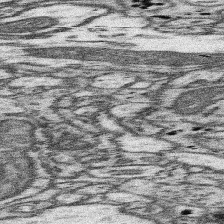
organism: Mouse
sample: Somatosensory cortex neuropil